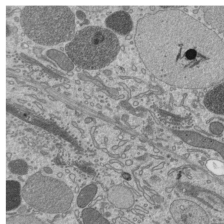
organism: Mouse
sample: Mouse epididymis efferent ductule cilia